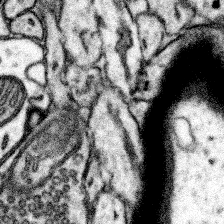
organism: Mouse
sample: Somatosensory cortex neuropil